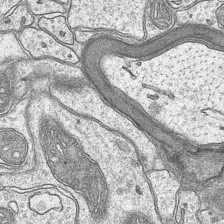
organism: Mouse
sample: CA1 Hippocampus